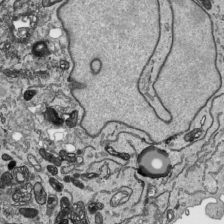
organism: Human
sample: Mitochondria in HCT116 cells